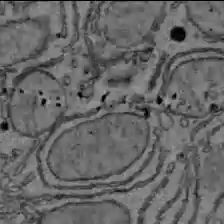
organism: C57BL Mouse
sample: Liver